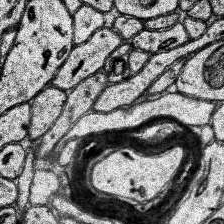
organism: Human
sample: Temporal Lobe